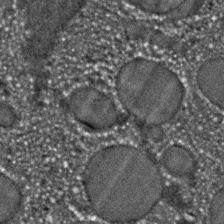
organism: C. elegans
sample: C. elegans embryo